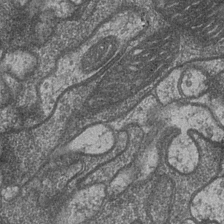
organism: Drosophila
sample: Optic medulla